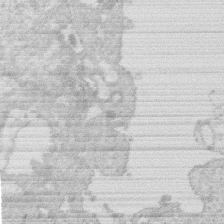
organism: Human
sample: Macrophage cells